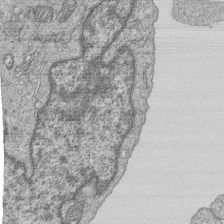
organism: Human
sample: MDA-MB-231 cells